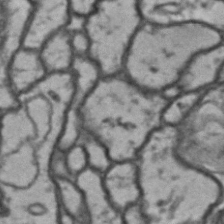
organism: Drosophila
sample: Brain